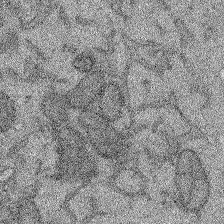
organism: Human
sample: HeLa cells